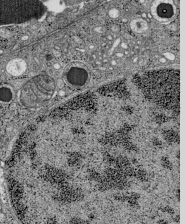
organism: C57BL Mouse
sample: Pancreatic islet